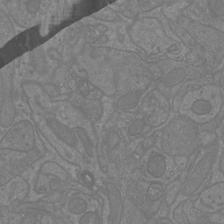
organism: Mouse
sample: Cortical neurons